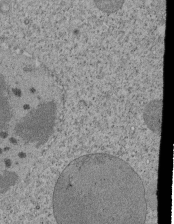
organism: Tetrahymena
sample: Cilia in tetrahymena